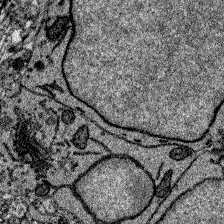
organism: Zebrafish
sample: Larval olfactory bulb